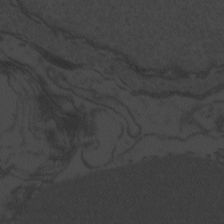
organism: Zebrafish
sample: Macrophage infected with Toxoplasma gondii